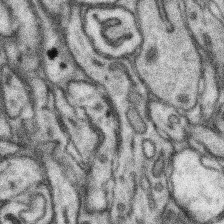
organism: Mouse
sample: Somatosensory cortex neuropil